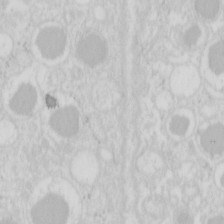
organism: Mouse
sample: Pancreas